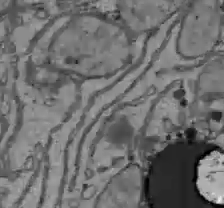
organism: C57BL Mouse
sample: Liver